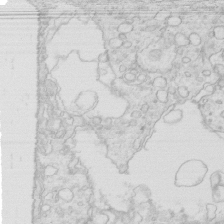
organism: Mouse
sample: Multiciliated cells